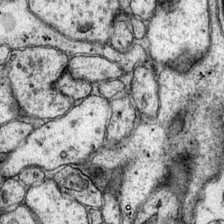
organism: Mouse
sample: Primary visual cortex